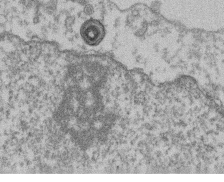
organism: Mouse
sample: T cell stromal cell synapse